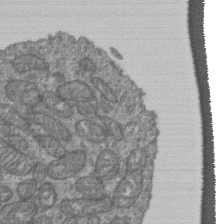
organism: Human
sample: Retinal organoid Rod and Cone cells